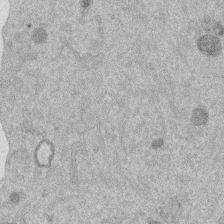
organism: Mouse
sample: Dividing mouse embryo 1 cell stage